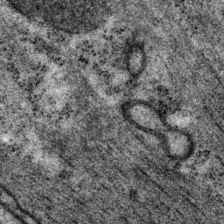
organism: P. pacificus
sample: Pharynx